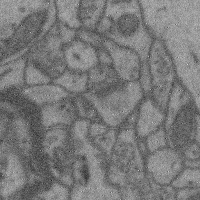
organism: Mouse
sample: Cerebral cortex